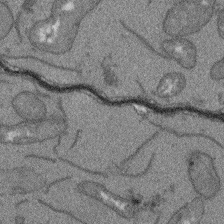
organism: Arabidopsis thaliana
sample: Root tip